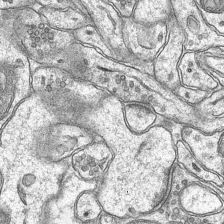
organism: Mouse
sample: CA1 Hippocampus